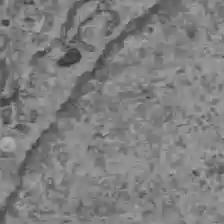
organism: C57BL Mouse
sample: Liver